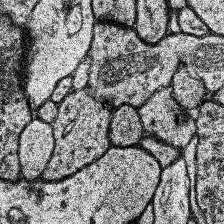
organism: Human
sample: Temporal Lobe